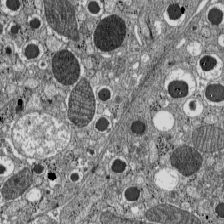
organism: C57BL Mouse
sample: Pancreatic islet